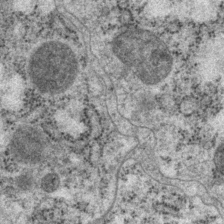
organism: P. pacificus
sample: Pharynx